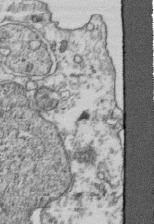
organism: Human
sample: Activated Jurkat CD4+ T cells